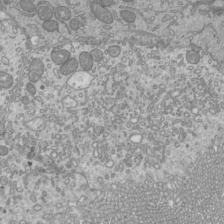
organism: Mouse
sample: Cilia; mouse epididymis